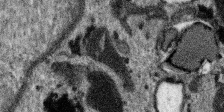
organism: Human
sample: Lung epithelial cells infected with SARS-CoV-2